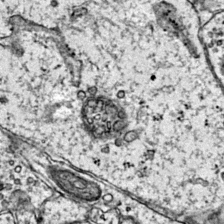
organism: Mouse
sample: Primary visual cortex